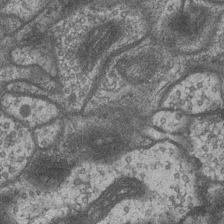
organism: Drosophila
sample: Optic medulla